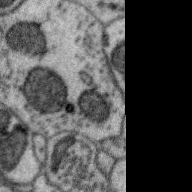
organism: Zebra finch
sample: Brain